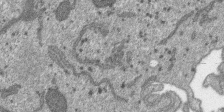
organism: Human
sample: Lung epithelial cells infected with SARS-CoV-2